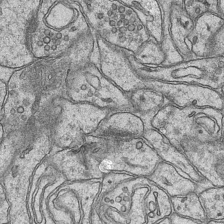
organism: Mouse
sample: CA1 Hippocampus